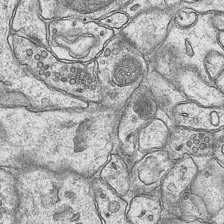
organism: Mouse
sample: CA1 Hippocampus